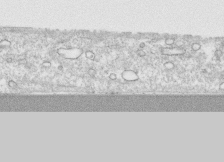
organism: Human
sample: CRL-1474